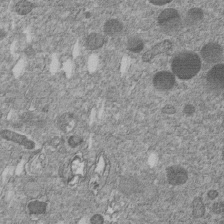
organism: C. elegans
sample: C. elegans embryo early stage